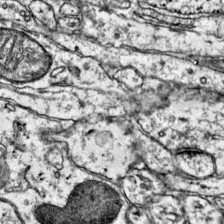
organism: Mouse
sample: Primary visual cortex